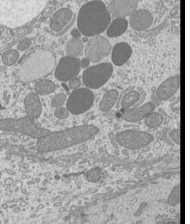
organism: Mouse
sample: Cilia; mouse epididymis